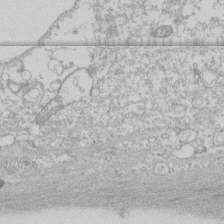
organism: Human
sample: CRL-1474